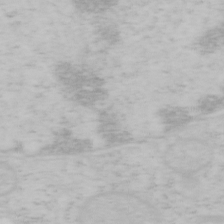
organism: Mouse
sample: OT-I killer T cells with ID8 ovarian cancer cells